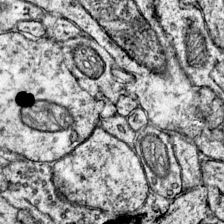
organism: Mouse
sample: Primary visual cortex